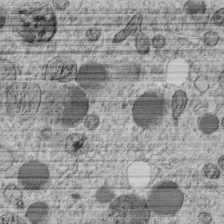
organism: C. elegans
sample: C. elegans embryo early stage